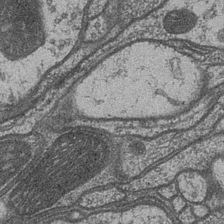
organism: Drosophila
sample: Optic medulla